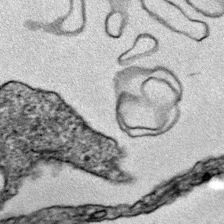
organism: Mouse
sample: Primary visual cortex